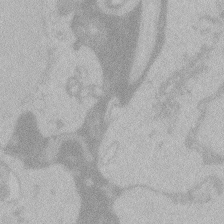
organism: Zebrafish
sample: Macrophage infected with Toxoplasma gondii